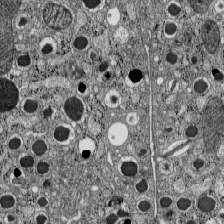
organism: C57BL Mouse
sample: Pancreatic islet